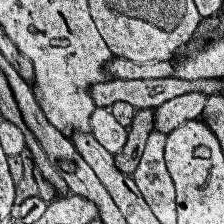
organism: Human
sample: Temporal Lobe